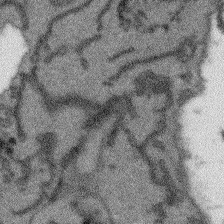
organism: Arabidopsis thaliana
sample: Root tip